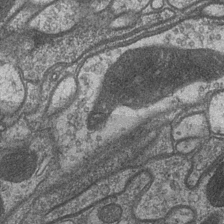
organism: Drosophila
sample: Optic medulla